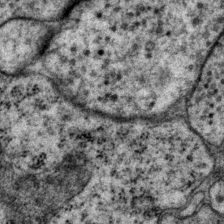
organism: P. pacificus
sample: Pharynx